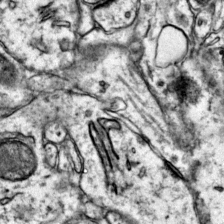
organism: Mouse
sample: Primary visual cortex